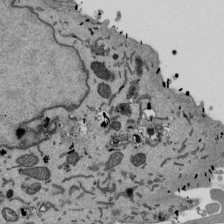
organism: Mouse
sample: ED-1 cell nuclei; centrioles